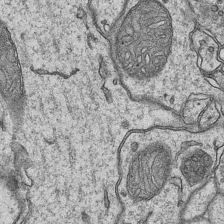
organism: Mouse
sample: CA1 Hippocampus